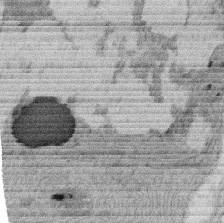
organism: Rat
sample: Salivary granule